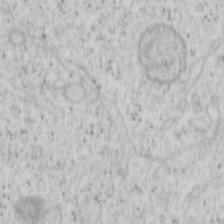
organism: Human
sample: HeLa cells